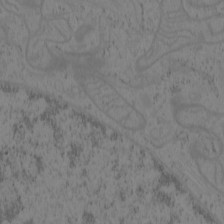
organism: Human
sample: HeLa cells